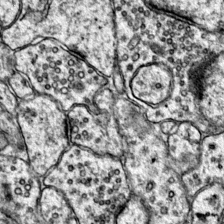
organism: Mouse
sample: Primary visual cortex